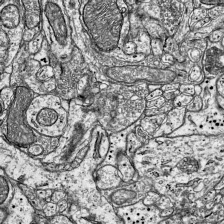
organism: Mouse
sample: Visual Cortex